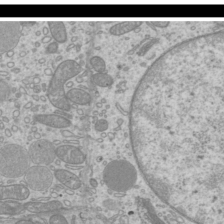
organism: Mouse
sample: Cilia; mouse epididymis